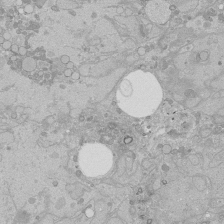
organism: Human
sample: Caco-2 cells